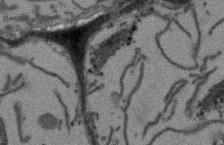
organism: Arabidopsis thaliana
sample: Root tip